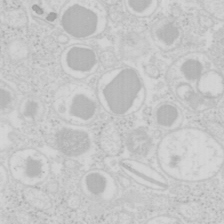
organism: Mouse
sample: Pancreas